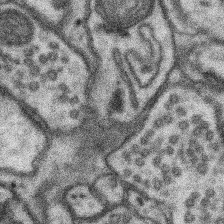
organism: Mouse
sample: Somatosensory cortex neuropil